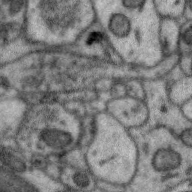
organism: Zebra finch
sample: Brain